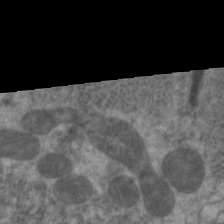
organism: C. elegans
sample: Pharynx